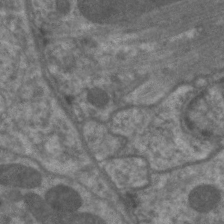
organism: C. elegans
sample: Pharynx